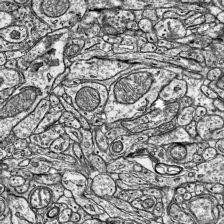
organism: Mouse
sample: Visual Cortex